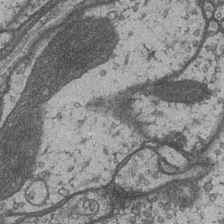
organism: Drosophila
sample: Optic medulla